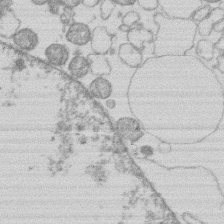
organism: Human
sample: Macrophage cells